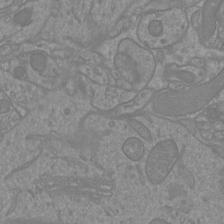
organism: Mouse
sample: Cortical neurons